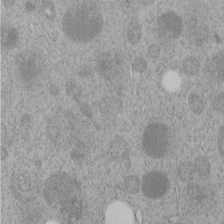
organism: C. elegans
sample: C. elegans embryo early stage